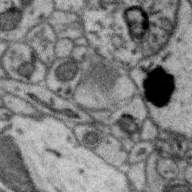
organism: Zebra finch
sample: Brain